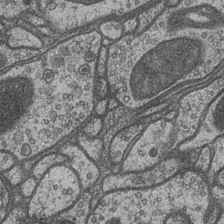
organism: Drosophila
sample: Optic medulla